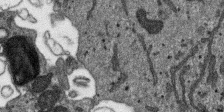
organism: Human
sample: Lung epithelial cells infected with SARS-CoV-2